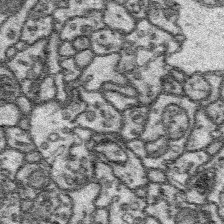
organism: Platynereis dumerilii